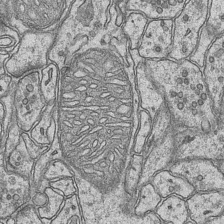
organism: Mouse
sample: CA1 Hippocampus